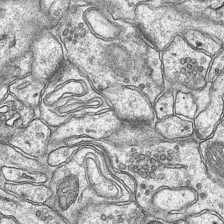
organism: Mouse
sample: CA1 Hippocampus